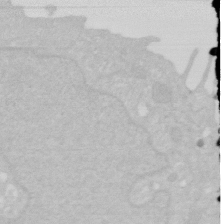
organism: Human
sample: HIV infected U937 cells